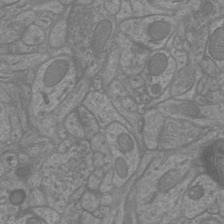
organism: Mouse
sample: Cortical neurons